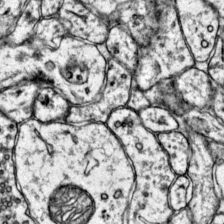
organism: Mouse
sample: Primary visual cortex